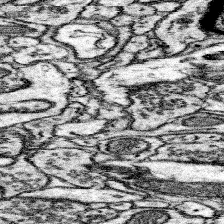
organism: Mouse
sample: Somatosensory cortex neuropil